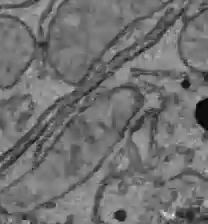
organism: C57BL Mouse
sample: Liver